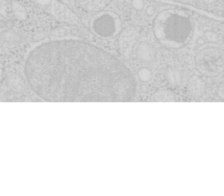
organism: Mouse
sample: Pancreas